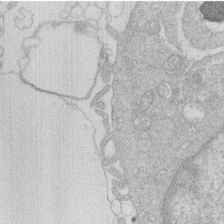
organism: Human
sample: Macrophage cells